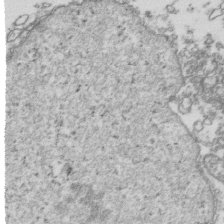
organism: Human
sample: Activated Jurkat CD4+ T cells